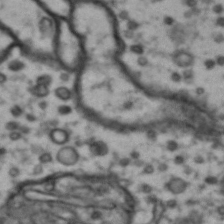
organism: Drosophila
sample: Brain